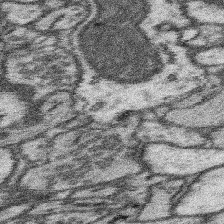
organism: Mouse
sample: Somatosensory cortex neuropil